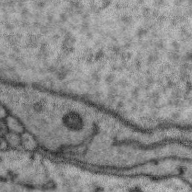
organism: Zebra finch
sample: Brain